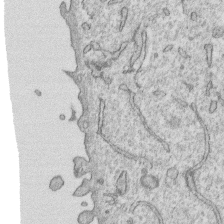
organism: Human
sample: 1205lu cells